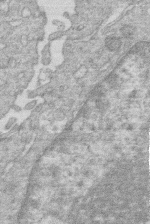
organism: Human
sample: Macrophage cells